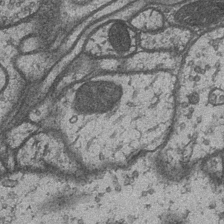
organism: Drosophila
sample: Optic medulla